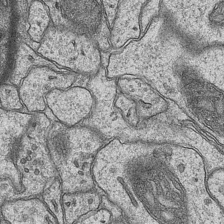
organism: Mouse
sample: CA1 Hippocampus